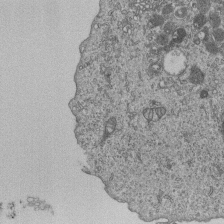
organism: Human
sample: MDA-MB-231 cells